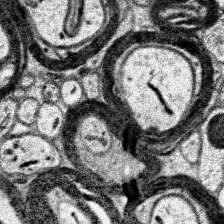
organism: Human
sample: Temporal Lobe